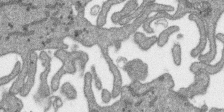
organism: Human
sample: Lung epithelial cells infected with SARS-CoV-2